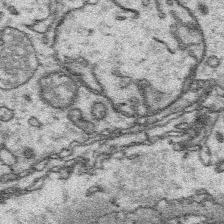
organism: Platynereis dumerilii